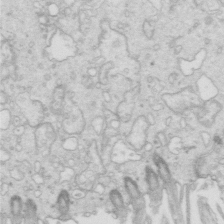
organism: Mouse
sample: Multiciliated cells